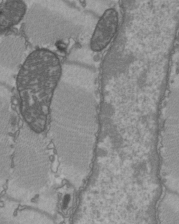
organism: C57BL Mouse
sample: Heart